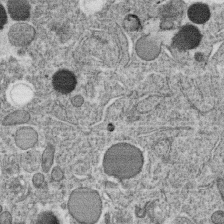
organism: C. elegans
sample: C. elegans oocyte; sperm cells